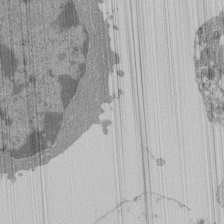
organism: Mouse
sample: Activated Pmel transgenic CD8+ T Cells